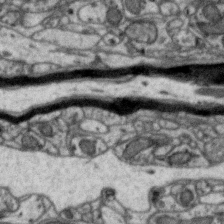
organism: Zebra finch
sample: Brain